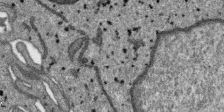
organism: Human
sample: Lung epithelial cells, uninfected (mock) control